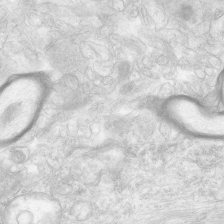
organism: Human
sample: Neocortex